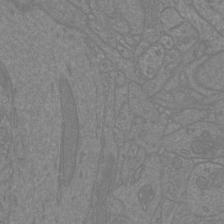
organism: Mouse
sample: Cortical neurons